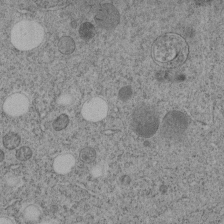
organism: C. elegans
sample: C. elegans embryo early stage